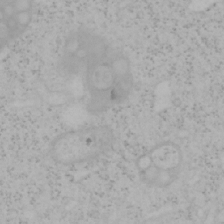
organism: Mouse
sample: OT-I killer T cells with ID8 ovarian cancer cells